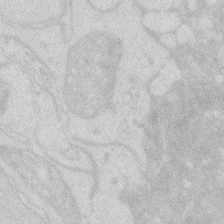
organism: Zebrafish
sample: Macrophage